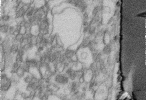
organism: Human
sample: Centriole in fibroblast cells